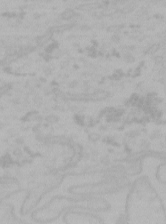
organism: Mouse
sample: Choroid plexus